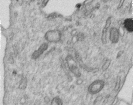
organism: Human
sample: Centriole in RPE cells